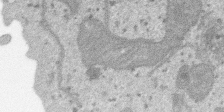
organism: Human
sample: Lung epithelial cells infected with SARS-CoV-2